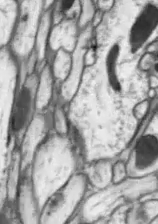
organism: Drosophila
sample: Optic lobe